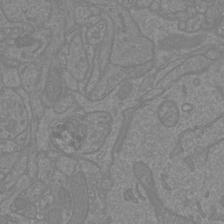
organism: Mouse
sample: Cortical neurons